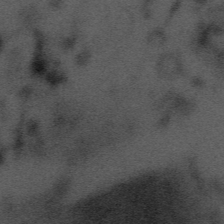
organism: Tuwongella immobilis